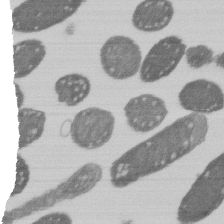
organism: E. coli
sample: Bacterial nucleoid